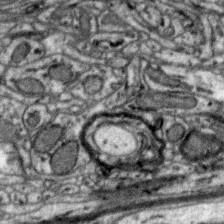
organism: Zebra finch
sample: Brain